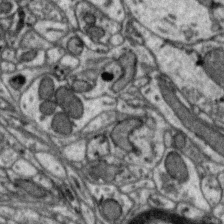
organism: Zebra finch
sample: Brain